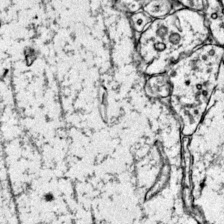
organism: Mouse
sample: Primary visual cortex